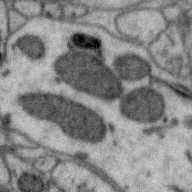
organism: Zebra finch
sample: Brain